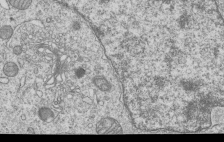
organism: Human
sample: MDA-MB-231 cells